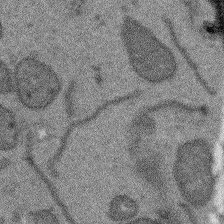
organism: Arabidopsis thaliana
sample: Root tip